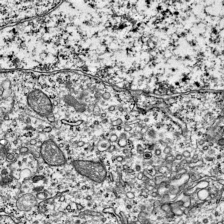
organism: Mouse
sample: Visual Cortex